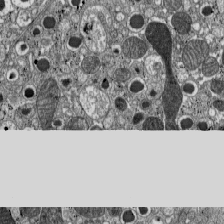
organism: C57BL Mouse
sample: Pancreatic islet